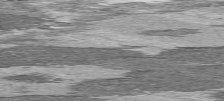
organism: C57BL Mouse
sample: Heart